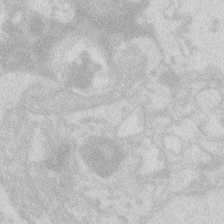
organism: Zebrafish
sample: Macrophage